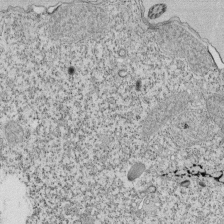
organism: Tetrahymena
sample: Cilia in tetrahymena